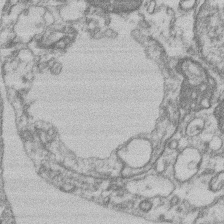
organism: Mouse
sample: T cell stromal cell synapse